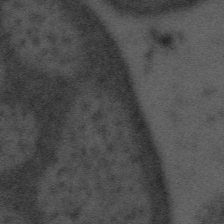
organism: Tuwongella immobilis